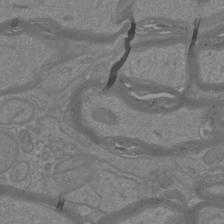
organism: Mouse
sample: Cortical neurons